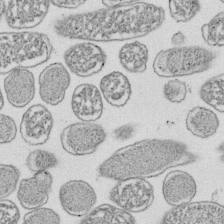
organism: E. coli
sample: Bacterial nucleoid